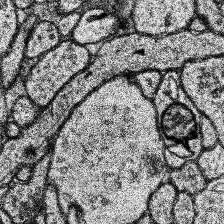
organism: Human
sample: Temporal Lobe